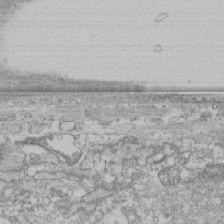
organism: Human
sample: CRL-1474